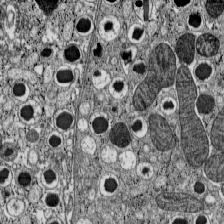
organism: C57BL Mouse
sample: Pancreatic islet